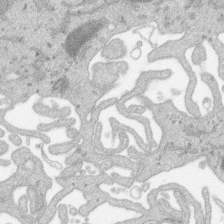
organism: Human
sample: Lung epithelial cells infected with SARS-CoV-2